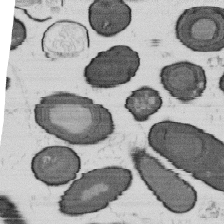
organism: B. subtilis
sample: Bacterial spore